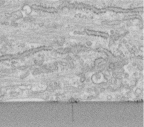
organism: Human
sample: Centriole in fibroblast cells